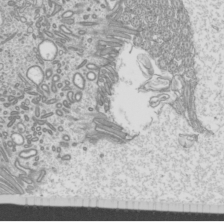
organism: Mouse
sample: Cilia; mouse epididymis